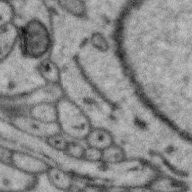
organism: Zebra finch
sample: Brain